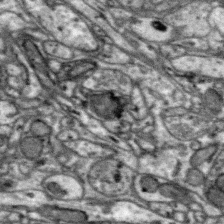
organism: Zebra finch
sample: Brain